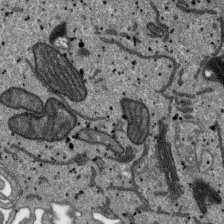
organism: Human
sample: Lung epithelial cells, uninfected (mock) control